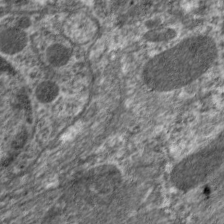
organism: C. elegans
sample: Pharynx